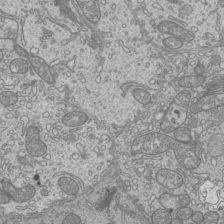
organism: Mouse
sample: Cilia; mouse epididymis